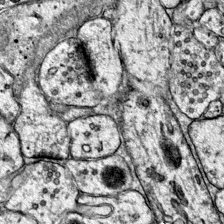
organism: Mouse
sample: Primary visual cortex